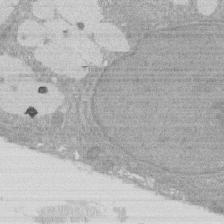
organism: Rat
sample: Salivary granule